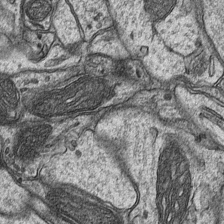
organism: Mouse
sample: CA1 Hippocampus